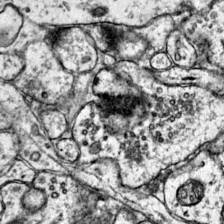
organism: Mouse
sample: Primary visual cortex